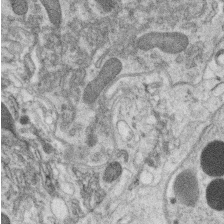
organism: C. elegans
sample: C. elegans oocyte; sperm cells